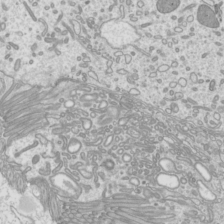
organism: Mouse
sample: Cilia; mouse epididymis